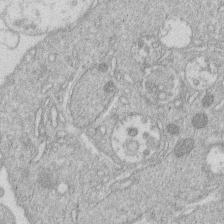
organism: Human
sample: Macrophage cells